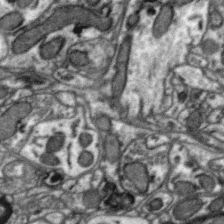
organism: Zebra finch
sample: Brain